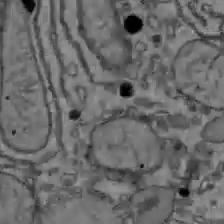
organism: C57BL Mouse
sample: Liver